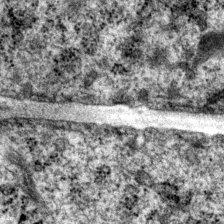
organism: P. pacificus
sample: Pharynx